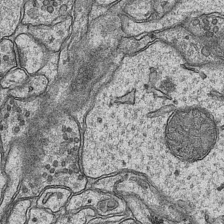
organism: Mouse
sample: CA1 Hippocampus